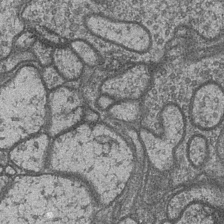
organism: Drosophila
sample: Optic medulla